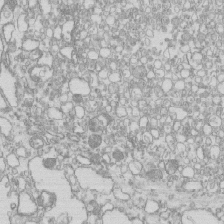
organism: Mouse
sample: Macrophages